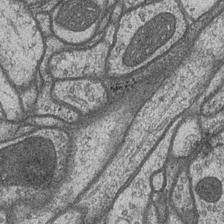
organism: Drosophila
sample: Optic medulla